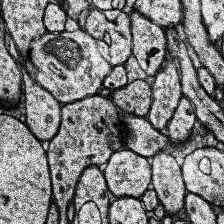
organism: Human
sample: Temporal Lobe